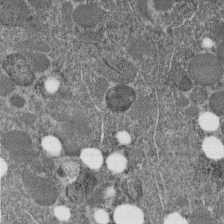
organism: C. elegans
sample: C. elegans embryo early stage